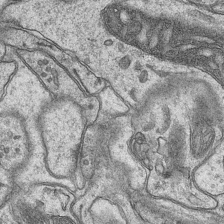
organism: Mouse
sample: CA1 Hippocampus